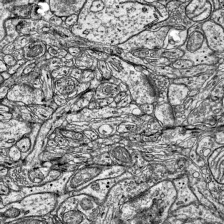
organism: Mouse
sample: Visual Cortex